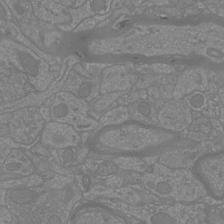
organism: Mouse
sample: Cortical neurons